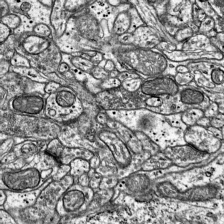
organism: Mouse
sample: Visual Cortex